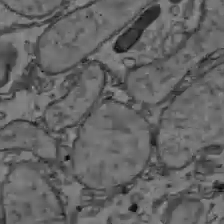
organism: C57BL Mouse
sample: Liver